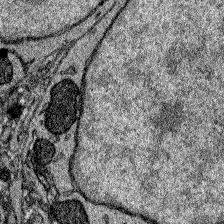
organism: Zebrafish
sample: Larval olfactory bulb